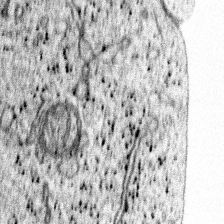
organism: Human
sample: HeLa cells